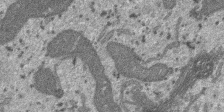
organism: Human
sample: Lung epithelial cells infected with SARS-CoV-2